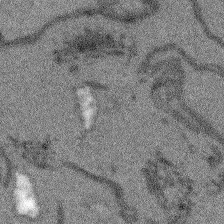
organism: Arabidopsis thaliana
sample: Root tip